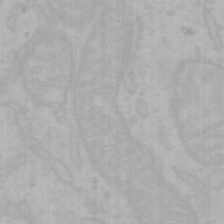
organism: Mouse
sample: Choroid plexus